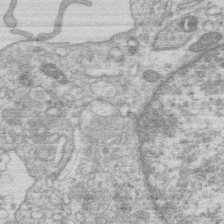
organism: Human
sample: Macrophage cells